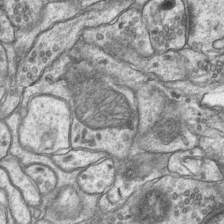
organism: Mouse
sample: CA1 Hippocampus